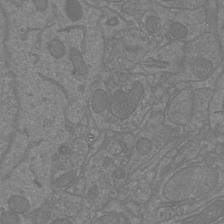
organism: Mouse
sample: Cortical neurons